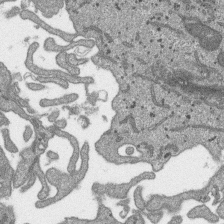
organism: Human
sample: Lung epithelial cells infected with SARS-CoV-2